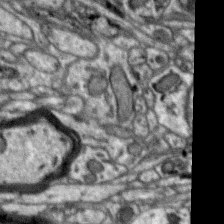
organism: Zebra finch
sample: Brain